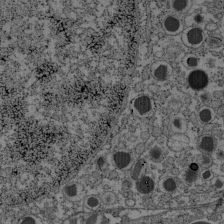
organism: C57BL Mouse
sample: Pancreatic islet